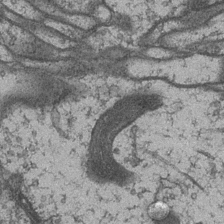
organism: Drosophila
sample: Optic medulla